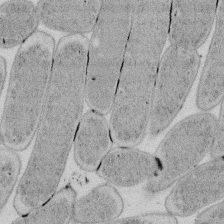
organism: E. coli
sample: Bacterial nucleoid